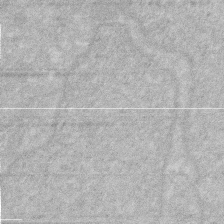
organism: Human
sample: HIV infected U937 cells